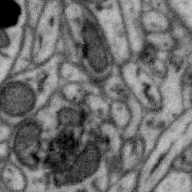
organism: Zebra finch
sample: Brain